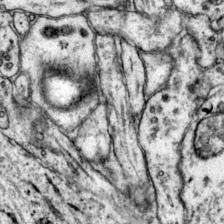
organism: Mouse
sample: Primary visual cortex